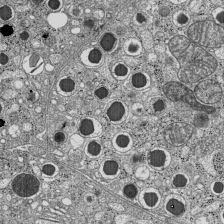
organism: C57BL Mouse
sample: Pancreatic islet